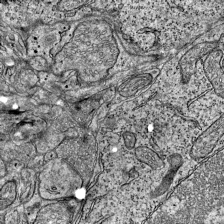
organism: Mouse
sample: Visual Cortex